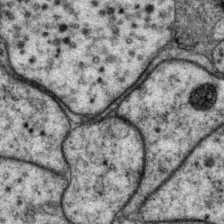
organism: P. pacificus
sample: Pharynx